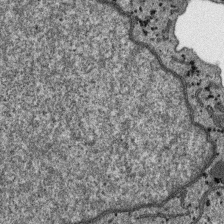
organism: Human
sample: Lung epithelial cells infected with SARS-CoV-2